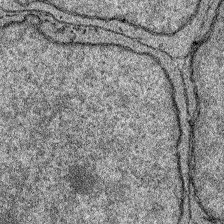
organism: Zebrafish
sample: Larval olfactory bulb